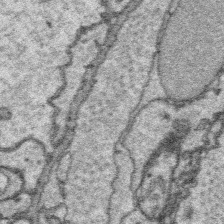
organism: Platynereis dumerilii